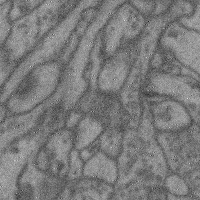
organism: Mouse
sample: Cerebral cortex